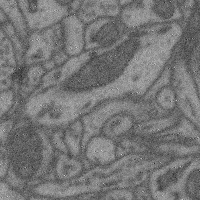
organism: Mouse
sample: Cerebral cortex